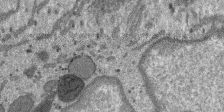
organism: Human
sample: Lung epithelial cells infected with SARS-CoV-2